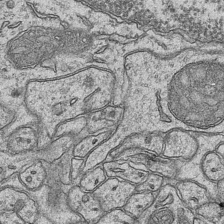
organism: Mouse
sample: CA1 Hippocampus